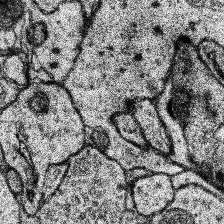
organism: Human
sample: Temporal Lobe